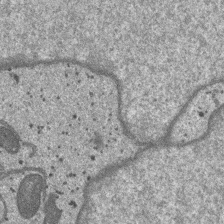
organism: Human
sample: Lung epithelial cells infected with SARS-CoV-2